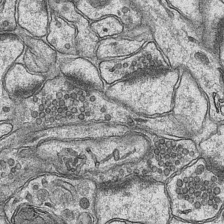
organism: Mouse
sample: CA1 Hippocampus